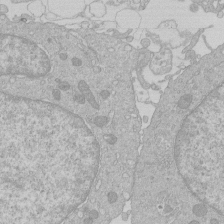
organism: Human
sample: Macrophage cells